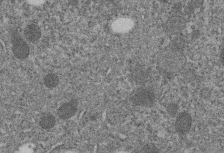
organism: C. elegans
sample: C. elegans embryo early stage